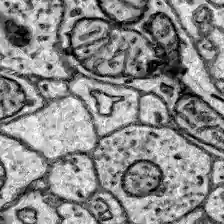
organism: Zebrafish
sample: Brain